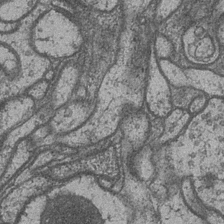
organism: Drosophila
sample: Optic medulla